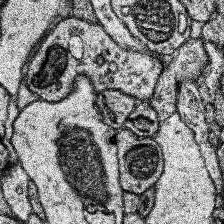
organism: Human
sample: Temporal Lobe